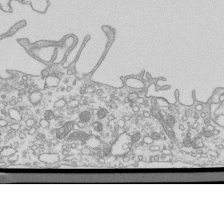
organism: Mouse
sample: Macrophages